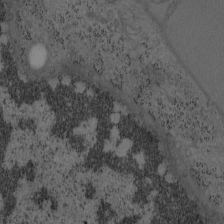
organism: Mouse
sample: OT-I killer T cells with ID8 ovarian cancer cells